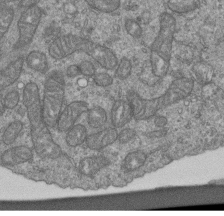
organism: Human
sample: Retinal organoid Rod and Cone cells